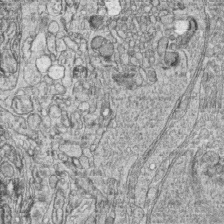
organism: Zebrafish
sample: synaptic ribbons in rod cells and cone cells